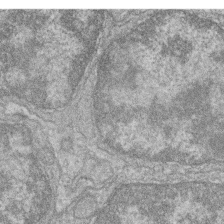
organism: Zebrafish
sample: Cilia; retinal pigment epithelium